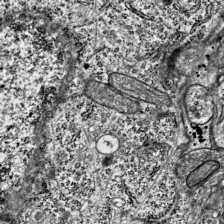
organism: Mouse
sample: Visual Cortex